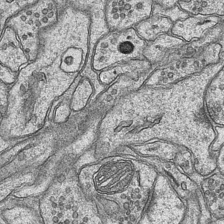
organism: Mouse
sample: CA1 Hippocampus